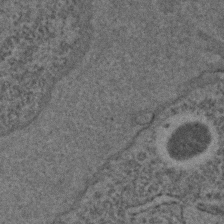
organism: C. elegans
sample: C. elegans embryo